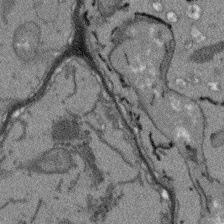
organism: Arabidopsis thaliana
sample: Root tip